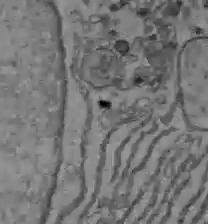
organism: C57BL Mouse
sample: Liver